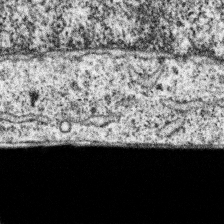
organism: Human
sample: HeLa cells